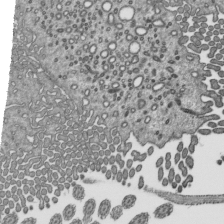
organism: Mouse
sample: Mouse epididymis efferent ductule cilia